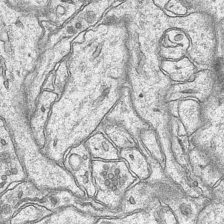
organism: Mouse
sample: CA1 Hippocampus